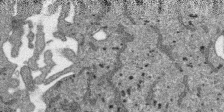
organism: Human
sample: Lung epithelial cells infected with SARS-CoV-2